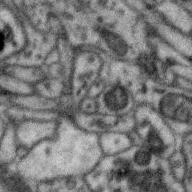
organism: Zebra finch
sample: Brain